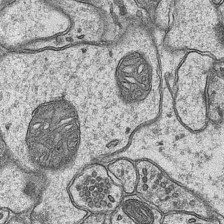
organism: Mouse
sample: CA1 Hippocampus